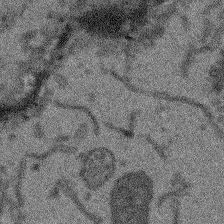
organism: Arabidopsis thaliana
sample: Root tip